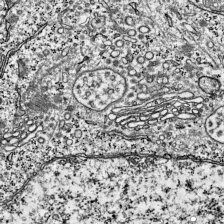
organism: Mouse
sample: Visual Cortex